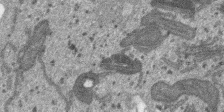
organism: Human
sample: Lung epithelial cells infected with SARS-CoV-2